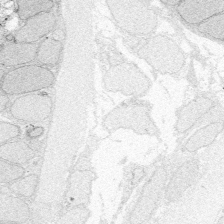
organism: Zebrafish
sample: Whole-Brain